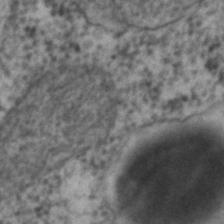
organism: C. elegans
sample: C. elegans embryo